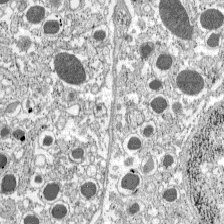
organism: C57BL Mouse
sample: Pancreatic islet